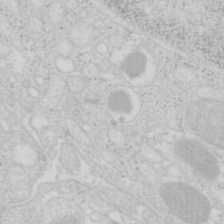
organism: Mouse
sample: Pancreas